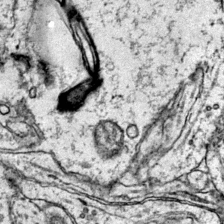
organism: Mouse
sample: Primary visual cortex